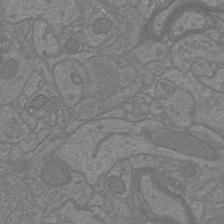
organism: Mouse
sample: Cortical neurons